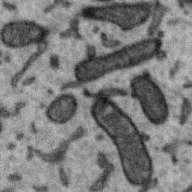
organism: Zebra finch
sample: Brain